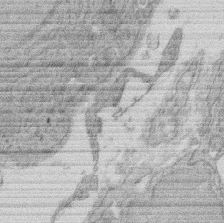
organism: Rat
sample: Salivary granule